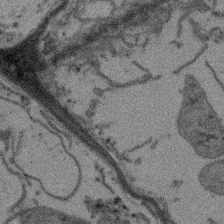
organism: Arabidopsis thaliana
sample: Root tip